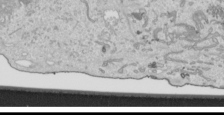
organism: Human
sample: Mitochondria in HCT116 cells